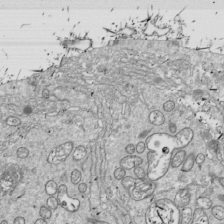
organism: Drosophila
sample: Cell division; meiosis; drosophila spermatocytes